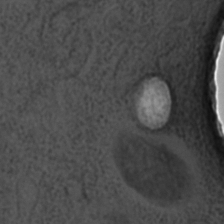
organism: C. elegans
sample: C. elegans embryo